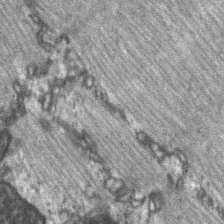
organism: C57BL Mouse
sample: Soleus